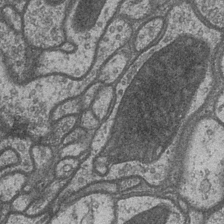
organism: Drosophila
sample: Optic medulla